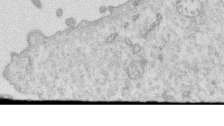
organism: Human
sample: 1205lu cells